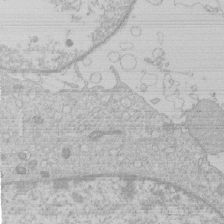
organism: Human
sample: Macrophage cells